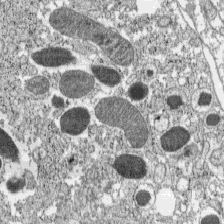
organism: C57BL Mouse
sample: Pancreatic islet